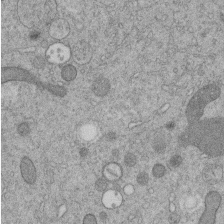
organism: C. elegans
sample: C. elegans embryo early stage